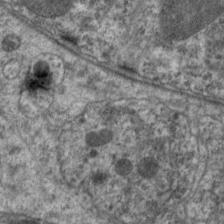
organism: C. elegans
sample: Pharynx